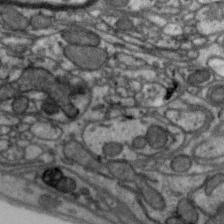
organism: Zebra finch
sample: Brain